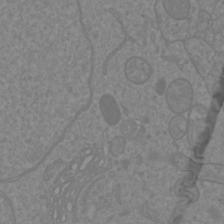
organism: Mouse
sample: Cortical neurons